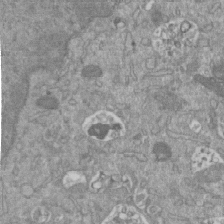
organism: Mouse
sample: ED-1 cell nuclei; centrioles